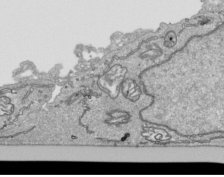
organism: Human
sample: Mitochondria in HCT116 cells